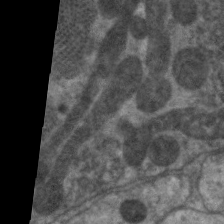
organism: C. elegans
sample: Pharynx